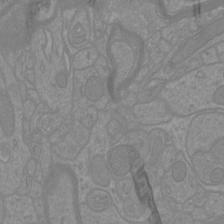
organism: Mouse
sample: Cortical neurons